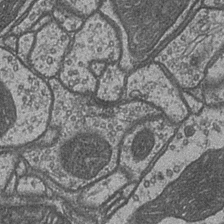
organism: Drosophila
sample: Optic medulla